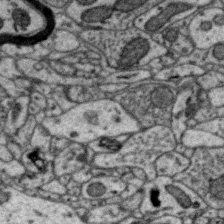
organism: Zebra finch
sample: Brain